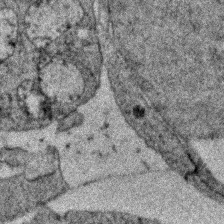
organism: Zebrafish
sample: Zebrafish embryo